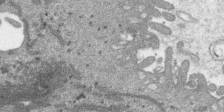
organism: Human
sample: Lung epithelial cells infected with SARS-CoV-2